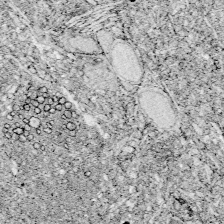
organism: Zebrafish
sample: Whole-Brain